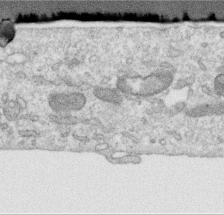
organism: Human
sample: Centriole in RPE cells